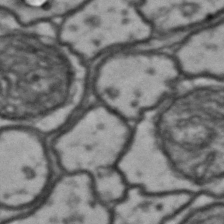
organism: Drosophila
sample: Brain